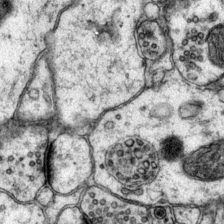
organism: Mouse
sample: Primary visual cortex